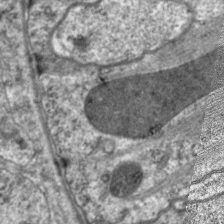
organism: C. elegans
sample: Pharynx